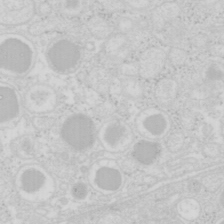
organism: Mouse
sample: Pancreas